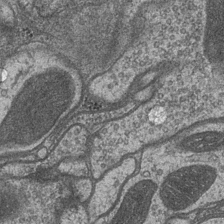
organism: Drosophila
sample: Optic medulla